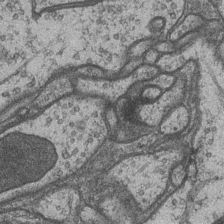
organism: Drosophila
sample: Optic medulla